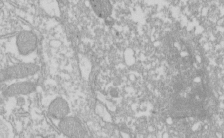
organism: Xenopus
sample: Cilia; centrioles in frog embryo cells